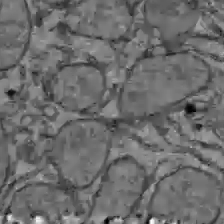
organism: C57BL Mouse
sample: Liver